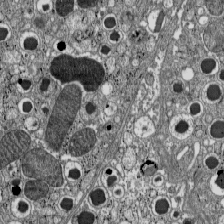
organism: C57BL Mouse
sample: Pancreatic islet